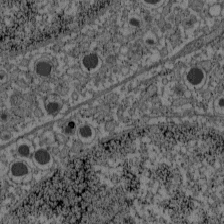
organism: C57BL Mouse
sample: Pancreatic islet